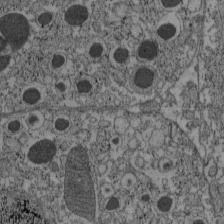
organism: C57BL Mouse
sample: Pancreatic islet